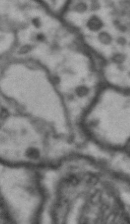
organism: Drosophila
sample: Brain